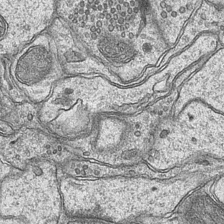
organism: Mouse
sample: CA1 Hippocampus